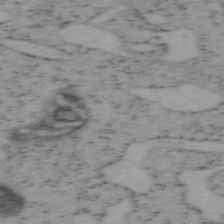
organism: Mouse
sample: OT-I killer T cells with ID8 ovarian cancer cells